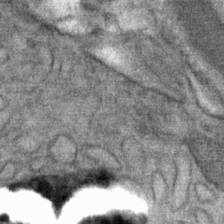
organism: Mouse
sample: Mouse Salivary gland